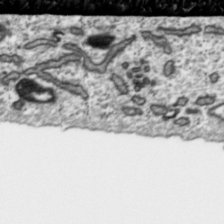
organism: Toxoplasma gondii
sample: Parasites in a vacuole inside a host cell